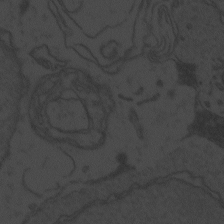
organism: Zebrafish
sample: Macrophage infected with Toxoplasma gondii